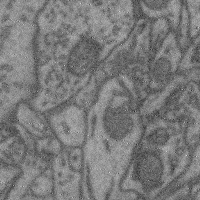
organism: Mouse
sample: Cerebral cortex